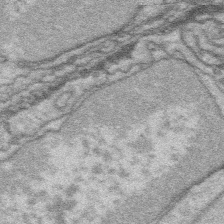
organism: Platynereis dumerilii